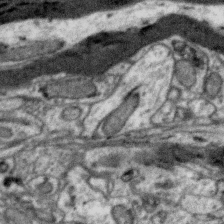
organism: Zebra finch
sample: Brain